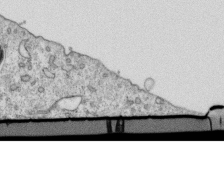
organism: Mouse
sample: Activated OT-1 CD8+ T cells